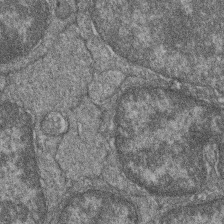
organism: Zebrafish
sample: Cilia; retinal pigment epithelium